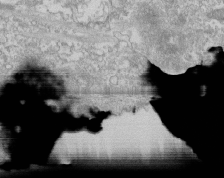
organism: Human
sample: CRL-1474